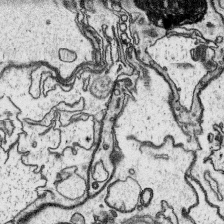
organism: Platynereis dumerilii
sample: Parapodia